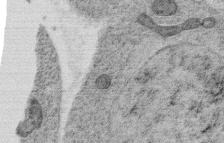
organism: C. elegans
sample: C. elegans oocyte; sperm cells